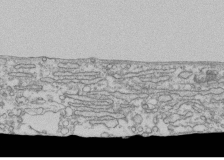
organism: Human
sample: Fibroblast cells